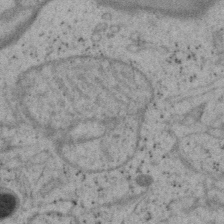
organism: Human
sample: HeLa cells